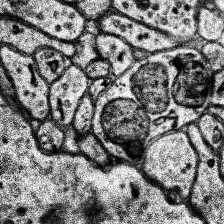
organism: Human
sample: Temporal Lobe